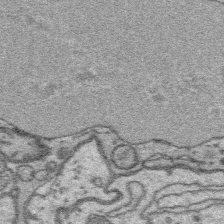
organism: Platynereis dumerilii